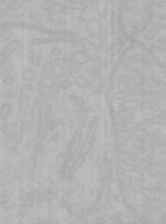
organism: Mouse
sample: Choroid plexus